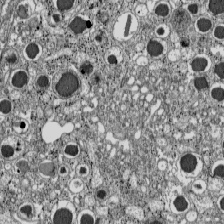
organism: C57BL Mouse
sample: Pancreatic islet